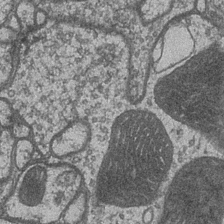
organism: Drosophila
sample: Optic medulla